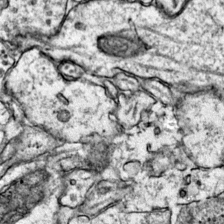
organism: Mouse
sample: Primary visual cortex